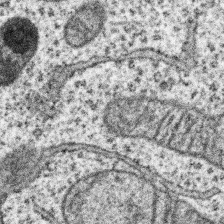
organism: Human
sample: HeLa cells